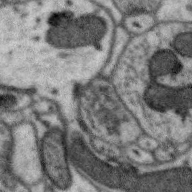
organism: Zebra finch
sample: Brain